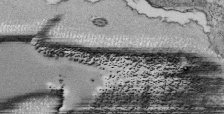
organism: Tetrahymena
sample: Cilia in tetrahymena